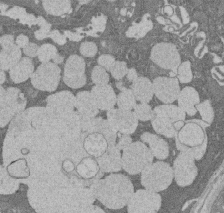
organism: Rat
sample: Salivary granule